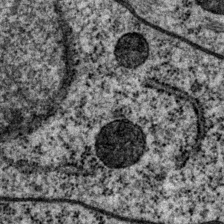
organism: P. pacificus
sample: Pharynx